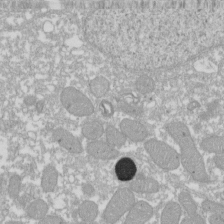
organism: Xenopus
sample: Cilia; centrioles in frog embryo cells